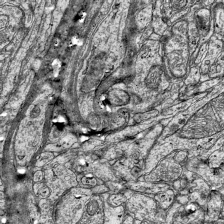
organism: Mouse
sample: Visual Cortex